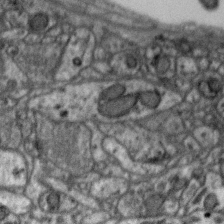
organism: Zebra finch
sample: Brain